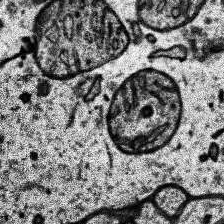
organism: Human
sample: Temporal Lobe